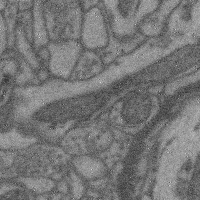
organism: Mouse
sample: Cerebral cortex